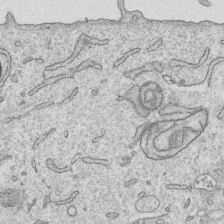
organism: Human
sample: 1205lu cells